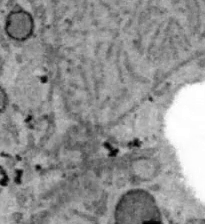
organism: Mouse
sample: Liver from an obese (ob/ob) mouse